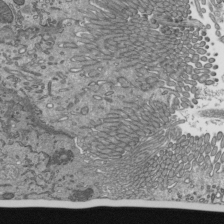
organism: Mouse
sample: Mouse epididymis efferent ductule cilia